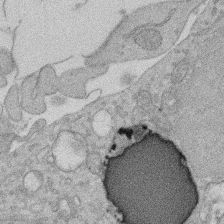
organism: Rat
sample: Salivary granule